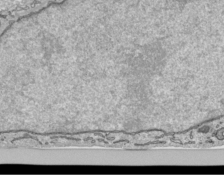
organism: Human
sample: Mitochondria in HCT116 cells